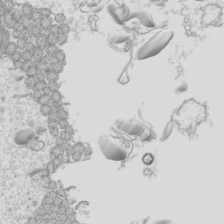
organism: Mouse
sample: Cilia; mouse epididymis